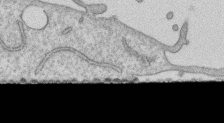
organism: Human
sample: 1205lu cells